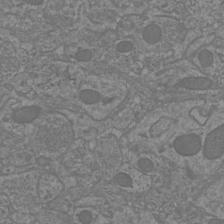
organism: Mouse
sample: Cortical neurons